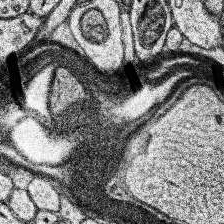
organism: Human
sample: Temporal Lobe